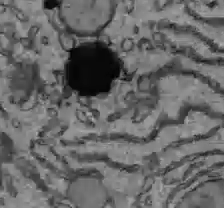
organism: C57BL Mouse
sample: Liver